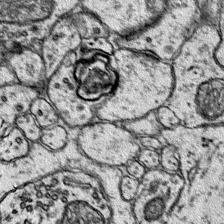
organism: Mouse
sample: Primary visual cortex